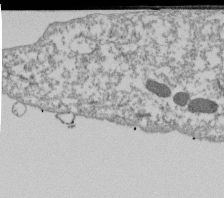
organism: Dictyostelium discoideum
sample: Dictyostelium multivesicular bodies